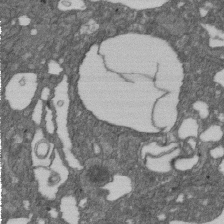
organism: Drosophila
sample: Nephrocyte